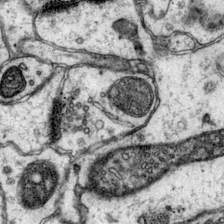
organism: Mouse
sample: Primary visual cortex